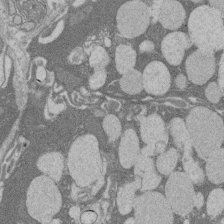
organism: Rat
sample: Salivary granule